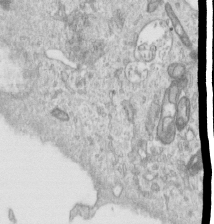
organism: Human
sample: Centriole in RPE cells